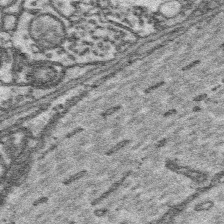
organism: Platynereis dumerilii